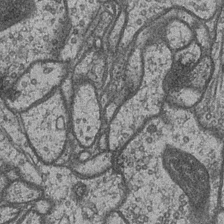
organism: Drosophila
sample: Optic medulla